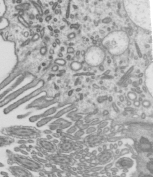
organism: Mouse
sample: Mouse epididymis efferent ductule cilia